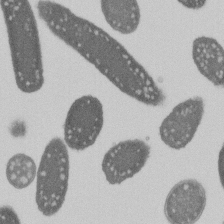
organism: E. coli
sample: Bacterial nucleoid